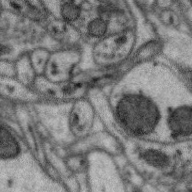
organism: Zebra finch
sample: Brain